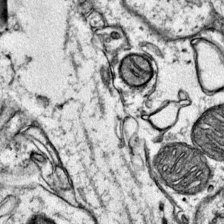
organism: Mouse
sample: Primary visual cortex